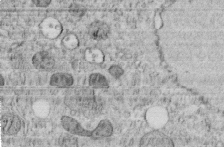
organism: C. elegans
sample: C. elegans embryo early stage